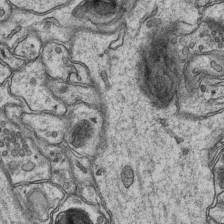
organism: Mouse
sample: CA1 Hippocampus